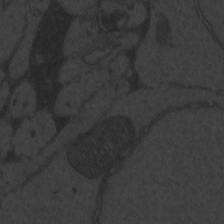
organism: Zebrafish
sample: Macrophage infected with Toxoplasma gondii